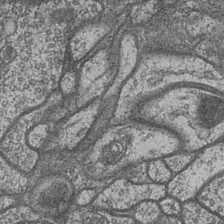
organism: Drosophila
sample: Optic medulla